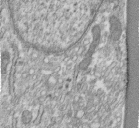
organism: Human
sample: Centriole in fibroblast cells